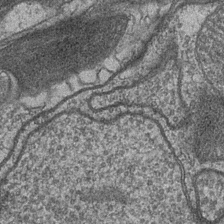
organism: Drosophila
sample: Optic medulla